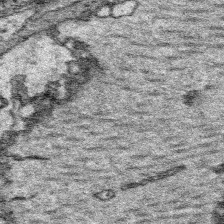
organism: Platynereis dumerilii